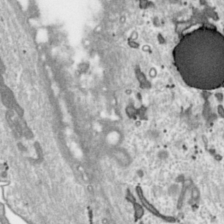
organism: Toxoplasma gondii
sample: Parasites in a vacuole inside a host cell